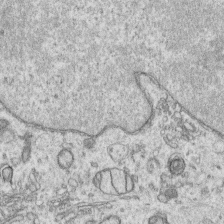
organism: Human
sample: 1205lu cells